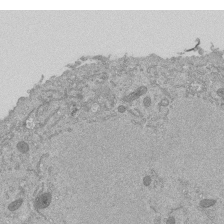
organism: Mouse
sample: ED-1 cell nuclei; centrioles